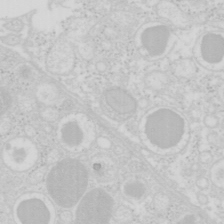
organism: Mouse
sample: Pancreas